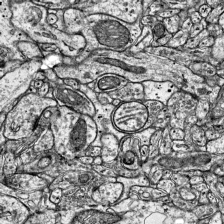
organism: Mouse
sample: Visual Cortex